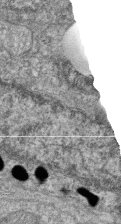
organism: Zebrafish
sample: Cilia; retinal pigment epithelium